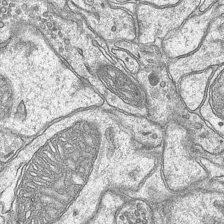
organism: Mouse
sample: CA1 Hippocampus